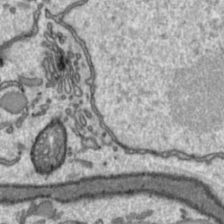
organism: Toxoplasma gondii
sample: Parasites in a vacuole inside a host cell